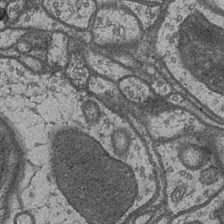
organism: Drosophila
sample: Optic medulla